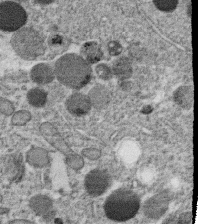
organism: C. elegans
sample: C. elegans oocyte; sperm cells